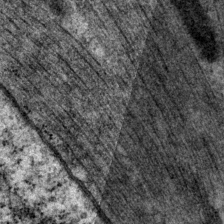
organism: P. pacificus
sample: Pharynx